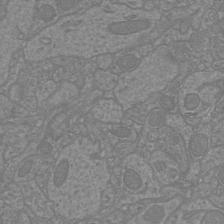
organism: Mouse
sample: Cortical neurons